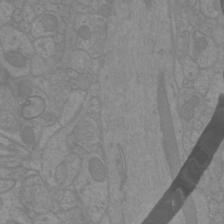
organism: Mouse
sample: Cortical neurons